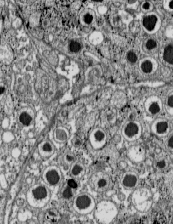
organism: C57BL Mouse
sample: Pancreatic islet